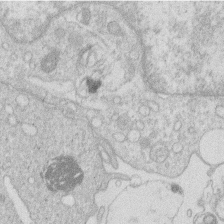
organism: Human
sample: Macrophage cells